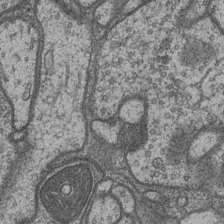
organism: Drosophila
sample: Optic medulla